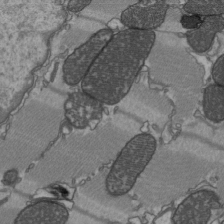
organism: C57BL Mouse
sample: Heart